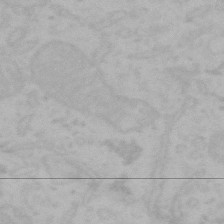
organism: Mouse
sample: Choroid plexus